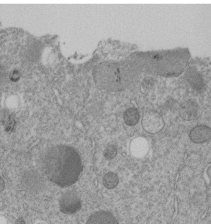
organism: C. elegans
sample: C. elegans embryo early stage